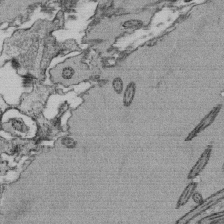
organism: Tetrahymena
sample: Cilia in tetrahymena